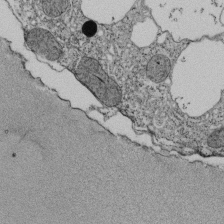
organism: Tetrahymena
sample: Cilia in tetrahymena